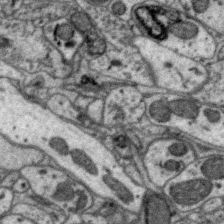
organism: Zebra finch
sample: Brain